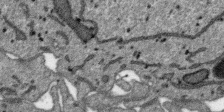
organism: Human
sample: Lung epithelial cells, uninfected (mock) control